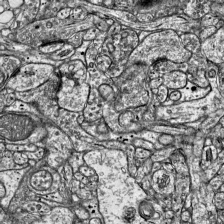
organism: Mouse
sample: Visual Cortex